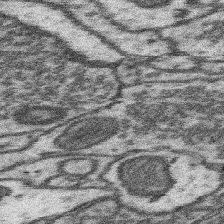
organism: Mouse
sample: Somatosensory cortex neuropil